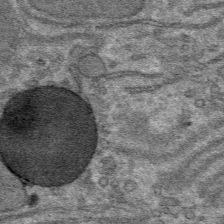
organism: Mouse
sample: Mouse hepatocytes